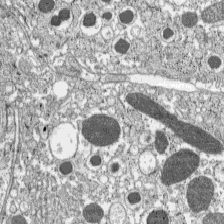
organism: C57BL Mouse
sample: Pancreatic islet